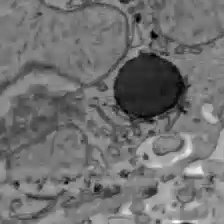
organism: C57BL Mouse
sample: Liver